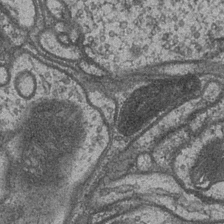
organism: Drosophila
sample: Optic medulla